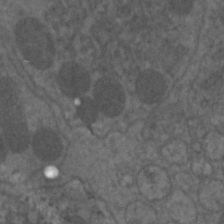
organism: C. elegans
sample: Pharynx